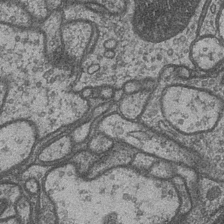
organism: Drosophila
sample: Optic medulla